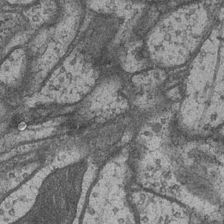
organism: Drosophila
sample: Optic medulla